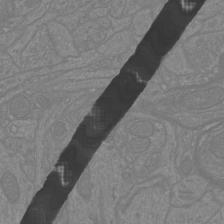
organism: Mouse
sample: Cortical neurons